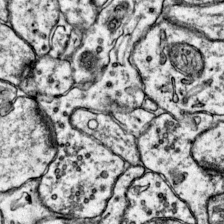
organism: Mouse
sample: Primary visual cortex